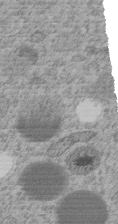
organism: C. elegans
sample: C. elegans embryo early stage